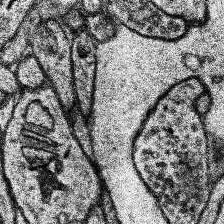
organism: Human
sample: Temporal Lobe